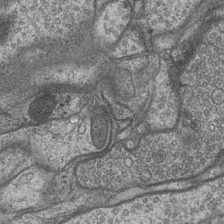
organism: Drosophila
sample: Optic medulla